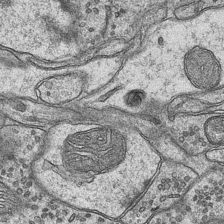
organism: Mouse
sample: CA1 Hippocampus